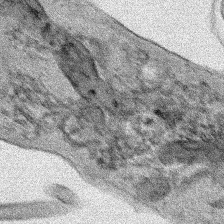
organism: Human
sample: Mitochondria in HCT116 cells